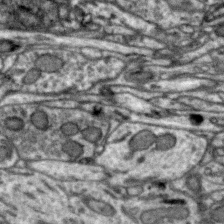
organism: Zebra finch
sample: Brain